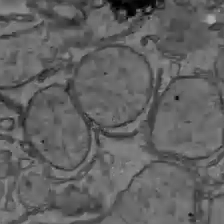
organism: C57BL Mouse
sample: Liver